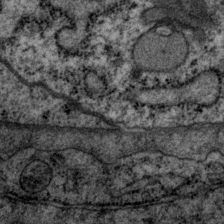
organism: P. pacificus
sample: Pharynx